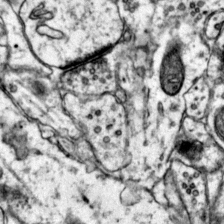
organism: Mouse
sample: Primary visual cortex